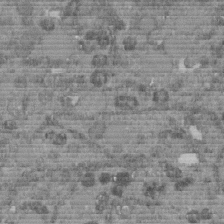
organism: C. elegans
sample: C. elegans embryo early stage